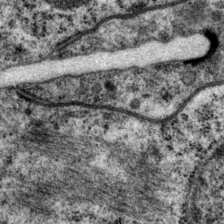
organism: P. pacificus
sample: Pharynx